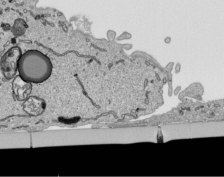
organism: Human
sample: Mitochondria in HCT116 cells